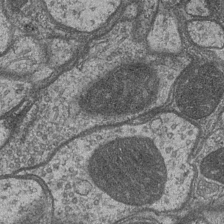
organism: Drosophila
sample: Optic medulla